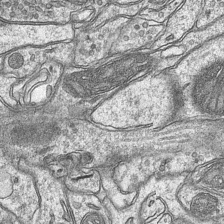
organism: Mouse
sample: CA1 Hippocampus